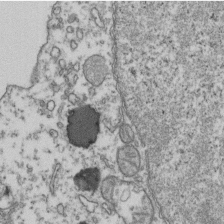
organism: Human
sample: Activated Jurkat CD4+ T cells